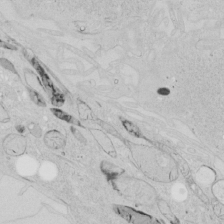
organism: Human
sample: Mitochondria in HCT116 cells